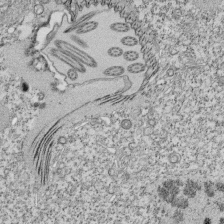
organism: Tetrahymena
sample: Cilia in tetrahymena